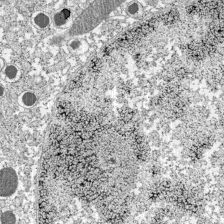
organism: C57BL Mouse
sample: Pancreatic islet